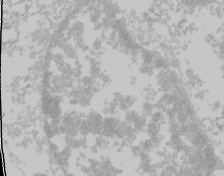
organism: Mouse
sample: Cancer cell death in ED-1 cells